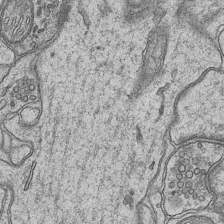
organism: Mouse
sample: CA1 Hippocampus